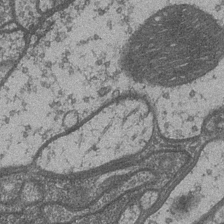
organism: Drosophila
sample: Optic medulla